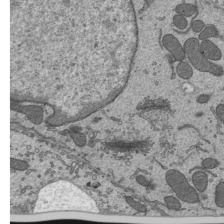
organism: Mouse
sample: Mouse epididymis efferent ductule cilia